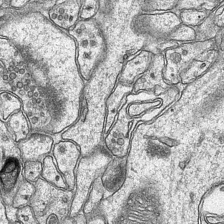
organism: Mouse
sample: CA1 Hippocampus